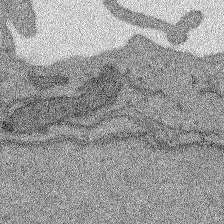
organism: Human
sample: HeLa cells